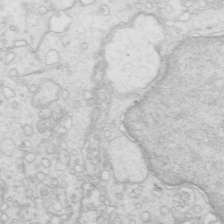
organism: Mouse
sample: Multiciliated cells